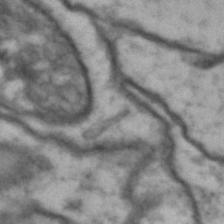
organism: Drosophila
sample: Brain